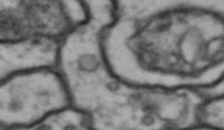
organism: Drosophila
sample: Brain